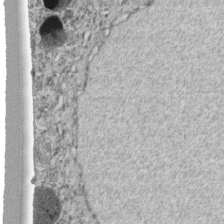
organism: C. elegans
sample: C. elegans embryo early stage